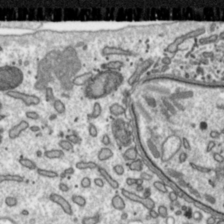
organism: Toxoplasma gondii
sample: Parasites in a vacuole inside a host cell